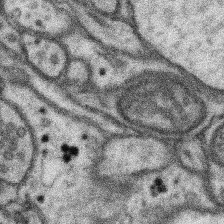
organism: Mouse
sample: Somatosensory cortex neuropil